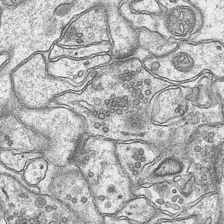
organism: Mouse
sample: CA1 Hippocampus